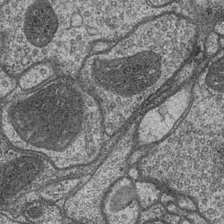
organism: Drosophila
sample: Optic medulla